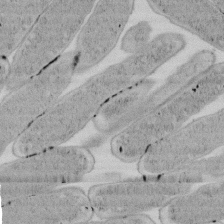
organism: E. coli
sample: Bacterial nucleoid